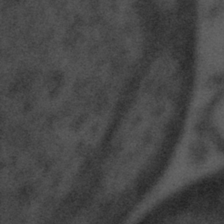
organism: Tuwongella immobilis